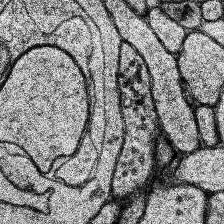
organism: Human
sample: Temporal Lobe